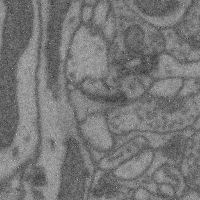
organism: Mouse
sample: Cerebral cortex